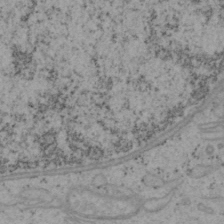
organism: Human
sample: HeLa cells